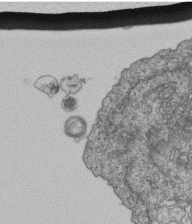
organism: Human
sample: Retinal organoid Rod and Cone cells